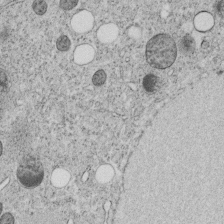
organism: C. elegans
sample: C. elegans embryo early stage